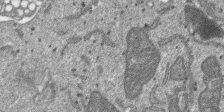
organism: Human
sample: Lung epithelial cells infected with SARS-CoV-2